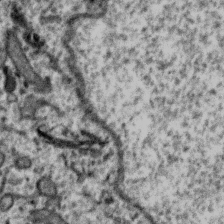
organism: Zebra finch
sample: Brain